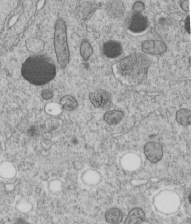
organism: C. elegans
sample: C. elegans embryo early stage